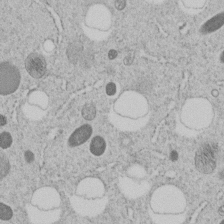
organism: C. elegans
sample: C. elegans embryo early stage